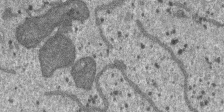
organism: Human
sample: Lung epithelial cells infected with SARS-CoV-2